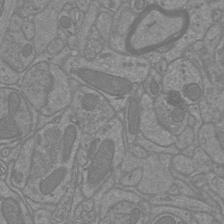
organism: Mouse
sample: Cortical neurons